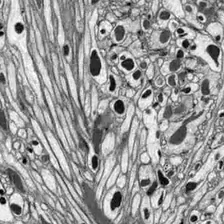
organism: Drosophila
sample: Optic lobe